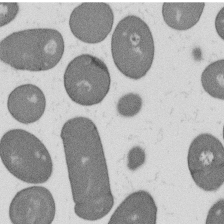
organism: B. subtilis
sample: Bacterial spore